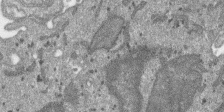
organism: Human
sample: Lung epithelial cells infected with SARS-CoV-2